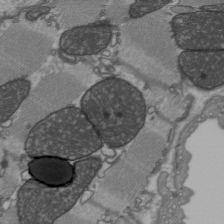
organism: C57BL Mouse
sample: Heart